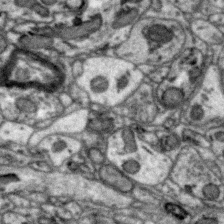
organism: Zebra finch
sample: Brain